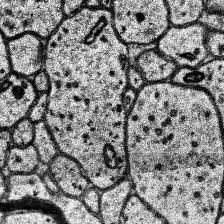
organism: Human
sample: Temporal Lobe